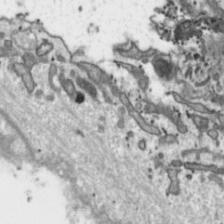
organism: Toxoplasma gondii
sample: Parasites in a vacuole inside a host cell